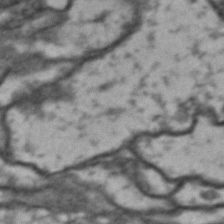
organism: Drosophila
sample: Brain